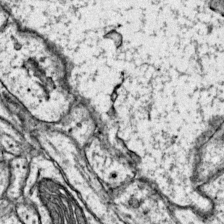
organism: Mouse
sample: Primary visual cortex